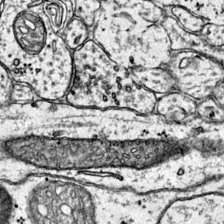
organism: Mouse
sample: Primary visual cortex